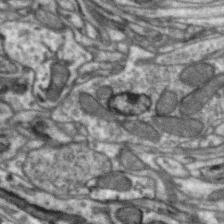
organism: Zebra finch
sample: Brain